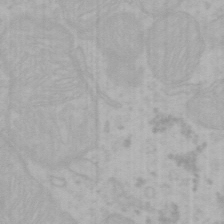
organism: Mouse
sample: Choroid plexus